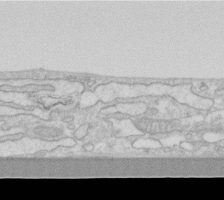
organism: Human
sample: Fibroblast cells